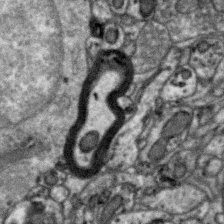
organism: Zebra finch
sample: Brain